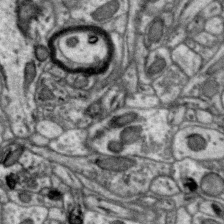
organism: Zebra finch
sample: Brain